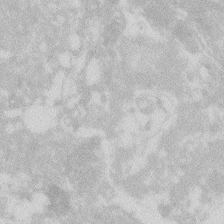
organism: Zebrafish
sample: Macrophage